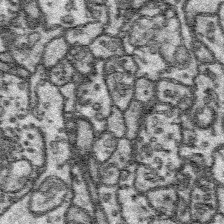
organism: Platynereis dumerilii